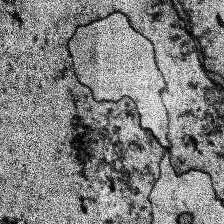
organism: Human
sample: Temporal Lobe